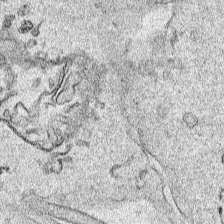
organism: Human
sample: Mitochondria in HCT116 cells